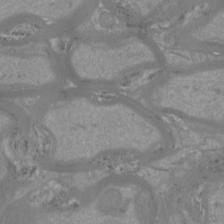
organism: Mouse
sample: Cortical neurons